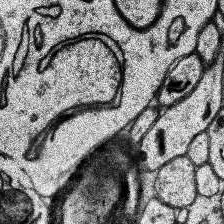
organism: Human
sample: Temporal Lobe